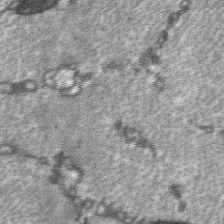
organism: C57BL Mouse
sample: Soleus